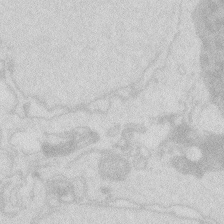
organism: Zebrafish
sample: Macrophage